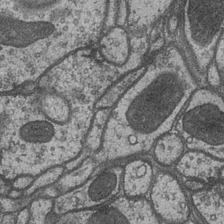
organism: Drosophila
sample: Optic medulla